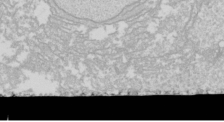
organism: Drosophila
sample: Cell division; meiosis; drosophila spermatocytes